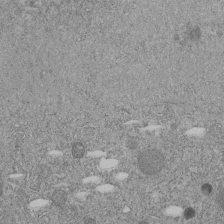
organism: C. elegans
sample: C. elegans embryo early stage